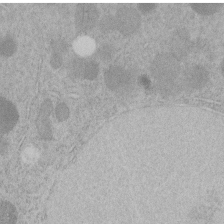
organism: C. elegans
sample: C. elegans embryo early stage